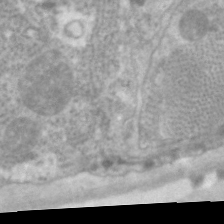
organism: C. elegans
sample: Pharynx